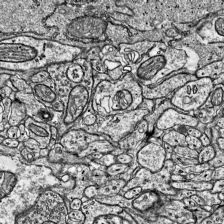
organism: Mouse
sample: Visual Cortex